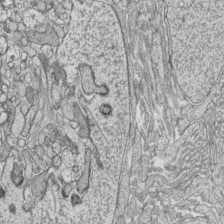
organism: Zebrafish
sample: synaptic ribbons in rod cells and cone cells